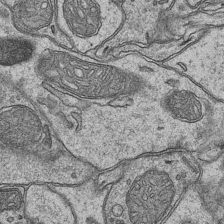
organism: Mouse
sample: CA1 Hippocampus